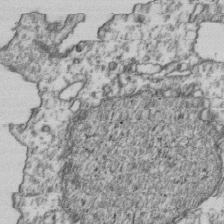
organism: Human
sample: Activated Jurkat CD4+ T cells